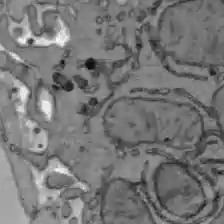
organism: C57BL Mouse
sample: Liver